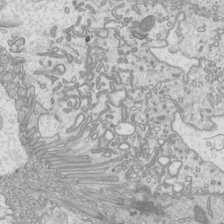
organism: Mouse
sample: Cilia; mouse epididymis